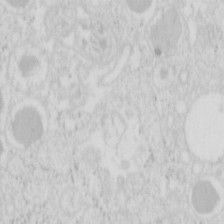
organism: Mouse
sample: Pancreas